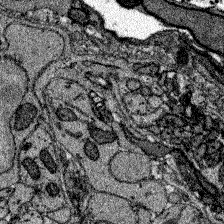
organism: Zebrafish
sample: Larval olfactory bulb